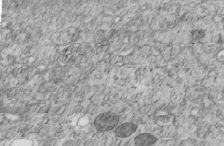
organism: C. elegans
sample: C. elegans embryo early stage